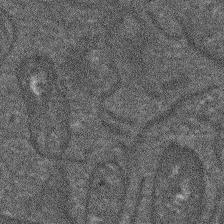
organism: Arabidopsis thaliana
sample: Root tip